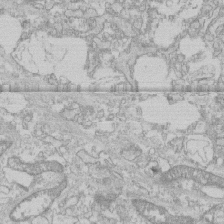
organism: Human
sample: CRL-1474